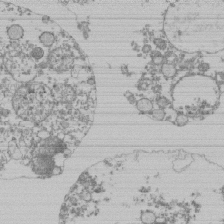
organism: Mouse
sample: Activated Pmel transgenic CD8+ T Cells